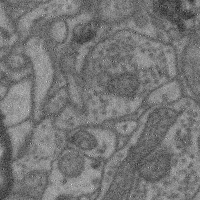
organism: Mouse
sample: Cerebral cortex